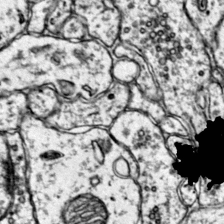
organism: Mouse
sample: Primary visual cortex